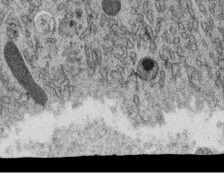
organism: C. elegans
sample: C. elegans oocyte; sperm cells